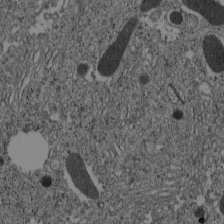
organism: C57BL Mouse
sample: Pancreatic islet